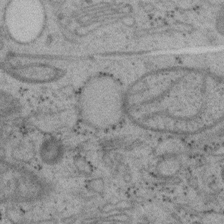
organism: Human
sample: HeLa cells